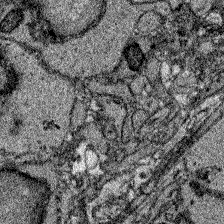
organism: Zebrafish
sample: Larval olfactory bulb